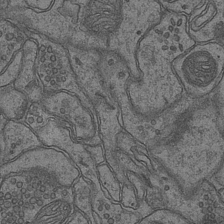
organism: Mouse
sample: CA1 Hippocampus